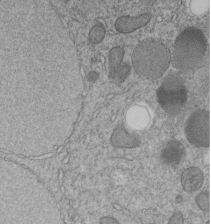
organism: C. elegans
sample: C. elegans embryo early stage